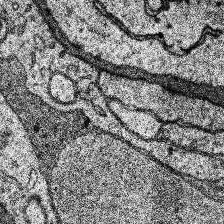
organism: Human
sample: Temporal Lobe